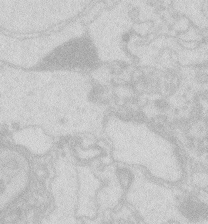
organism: Zebrafish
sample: Macrophage